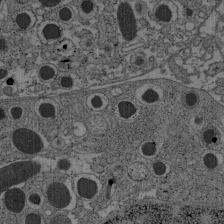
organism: C57BL Mouse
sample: Pancreatic islet